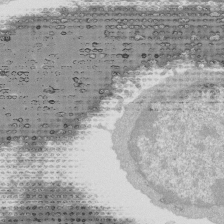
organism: Mouse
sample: Activated Pmel transgenic CD8+ T Cells